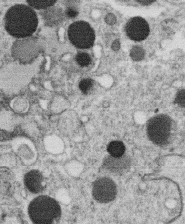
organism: C. elegans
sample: C. elegans oocyte; sperm cells